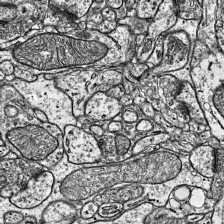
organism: Mouse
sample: Visual Cortex